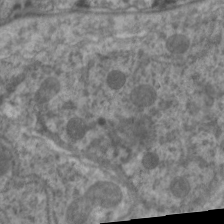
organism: C. elegans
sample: Pharynx